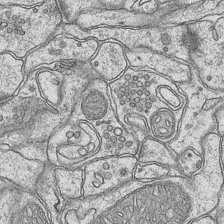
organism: Mouse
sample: CA1 Hippocampus